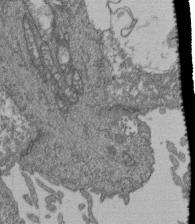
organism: Human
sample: Retinal organoid Rod and Cone cells